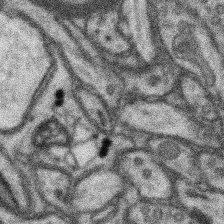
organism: Mouse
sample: Somatosensory cortex neuropil